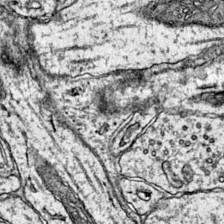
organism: Mouse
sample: Primary visual cortex